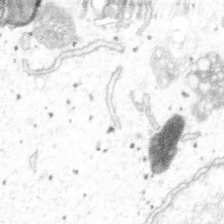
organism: Human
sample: HeLa cells